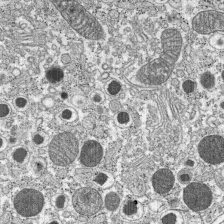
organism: C57BL Mouse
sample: Pancreatic islet